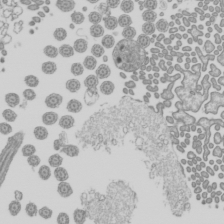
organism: Mouse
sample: Cilia; mouse epididymis